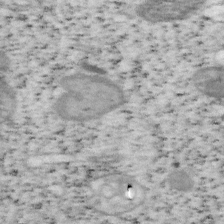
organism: Mouse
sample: OT-I killer T cells with ID8 ovarian cancer cells